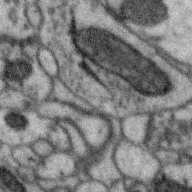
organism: Zebra finch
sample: Brain